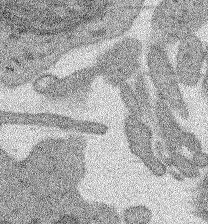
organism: Human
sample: HeLa cells